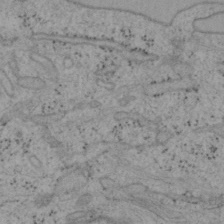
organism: Human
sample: HeLa cells